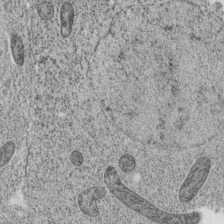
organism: C. elegans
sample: C. elegans oocyte; sperm cells